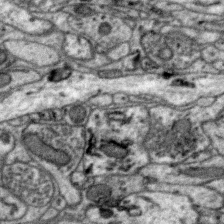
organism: Zebra finch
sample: Brain